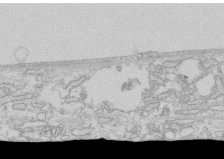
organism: Human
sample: CRL-1474